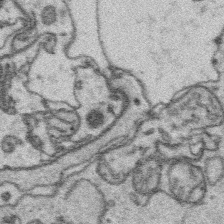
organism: Platynereis dumerilii